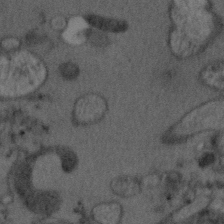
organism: Human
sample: HeLa cells